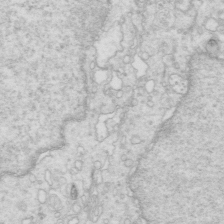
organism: Mouse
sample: Multiciliated cells